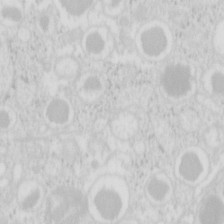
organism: Mouse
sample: Pancreas